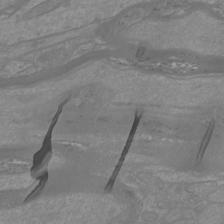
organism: Mouse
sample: Cortical neurons